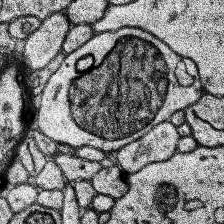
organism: Human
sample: Temporal Lobe